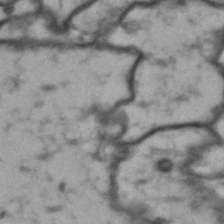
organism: Drosophila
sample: Brain